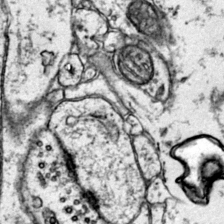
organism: Mouse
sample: Primary visual cortex